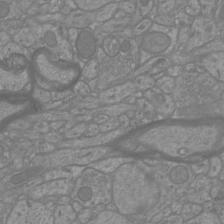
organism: Mouse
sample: Cortical neurons